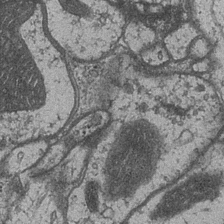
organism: Drosophila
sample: Optic medulla